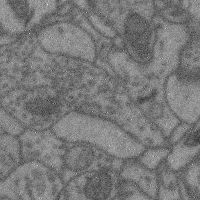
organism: Mouse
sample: Cerebral cortex